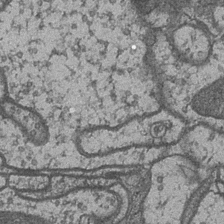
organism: Drosophila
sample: Optic medulla